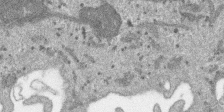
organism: Human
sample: Lung epithelial cells infected with SARS-CoV-2